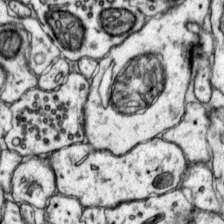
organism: Mouse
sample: Primary visual cortex